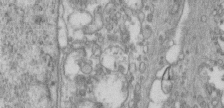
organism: Human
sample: Centriole in RPE cells